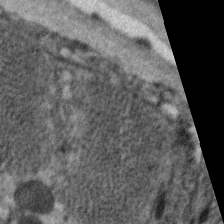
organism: C. elegans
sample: Pharynx